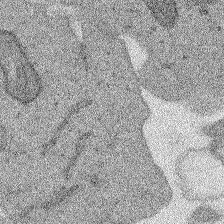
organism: Human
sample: HeLa cells